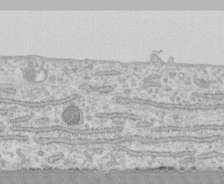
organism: Human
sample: CRL-1474